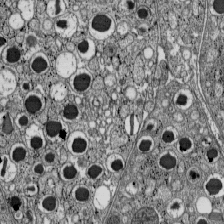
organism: C57BL Mouse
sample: Pancreatic islet